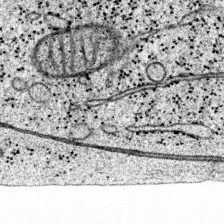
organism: Human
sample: HeLa cells